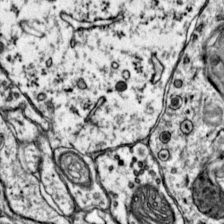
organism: Mouse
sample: Primary visual cortex